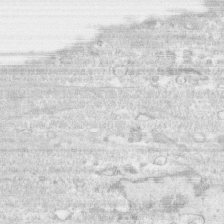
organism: Human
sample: CRL-1474